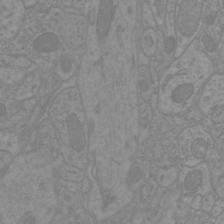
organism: Mouse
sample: Cortical neurons